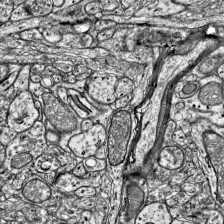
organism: Mouse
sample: Visual Cortex